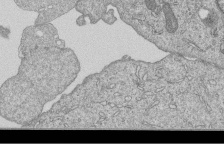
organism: Human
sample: MDA-MB-231 cells